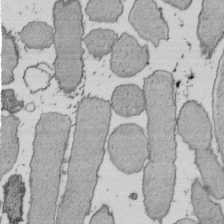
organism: E. coli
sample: Bacterial nucleoid